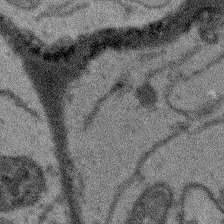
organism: Arabidopsis thaliana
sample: Root tip